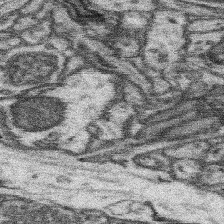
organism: Mouse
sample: Somatosensory cortex neuropil